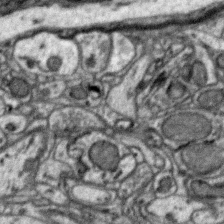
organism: Zebra finch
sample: Brain